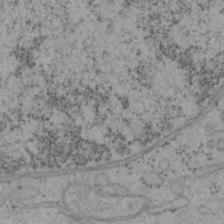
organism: Human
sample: HeLa cells